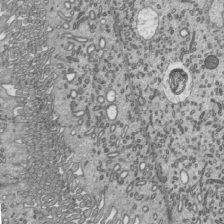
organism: Mouse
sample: Mouse epididymis efferent ductule cilia